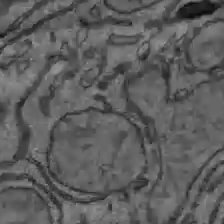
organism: C57BL Mouse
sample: Liver